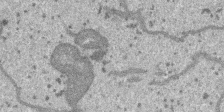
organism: Human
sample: Lung epithelial cells infected with SARS-CoV-2